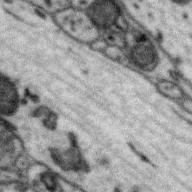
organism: Zebra finch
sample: Brain